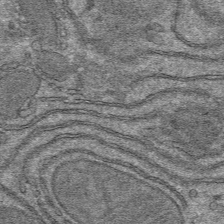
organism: Mouse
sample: Mouse hepatocytes